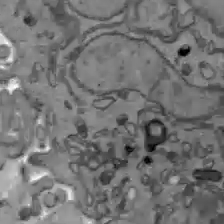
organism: C57BL Mouse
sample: Liver